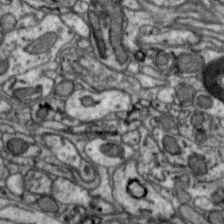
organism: Zebra finch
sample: Brain